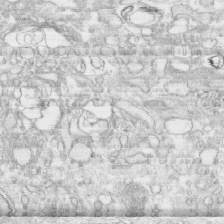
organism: Human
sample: CRL-1474